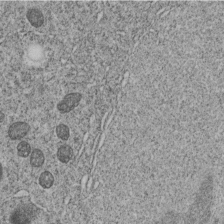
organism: C. elegans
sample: C. elegans embryo early stage